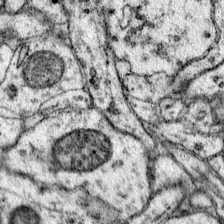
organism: Mouse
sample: Primary visual cortex